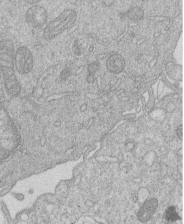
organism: Human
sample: Macrophage cells